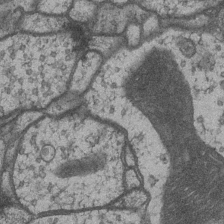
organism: Drosophila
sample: Optic medulla